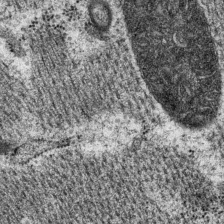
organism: P. pacificus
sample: Pharynx